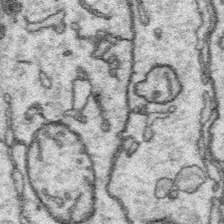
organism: Platynereis dumerilii